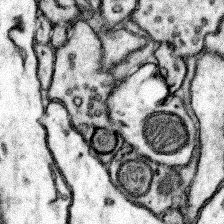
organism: Mouse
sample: Somatosensory cortex neuropil